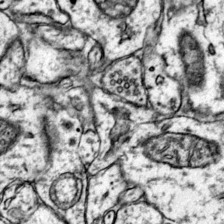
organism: Mouse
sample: Primary visual cortex